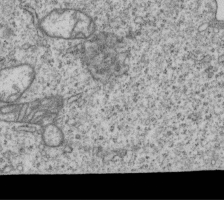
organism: Human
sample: MDA-MB-231 cells